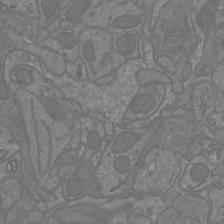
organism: Mouse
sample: Cortical neurons